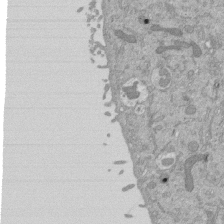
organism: Mouse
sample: ED-1 cell nuclei; centrioles